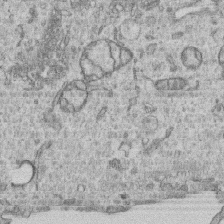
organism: Human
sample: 1205lu cells